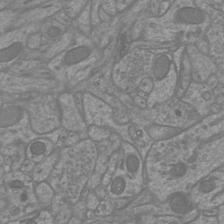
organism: Mouse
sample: Cortical neurons